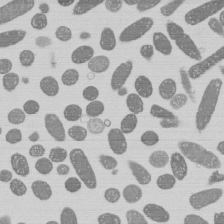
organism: E. coli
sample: Bacterial nucleoid